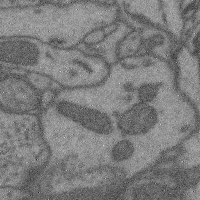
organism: Mouse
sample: Cerebral cortex